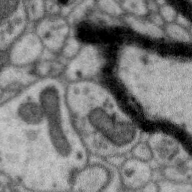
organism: Zebra finch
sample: Brain